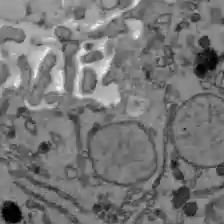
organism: C57BL Mouse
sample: Liver